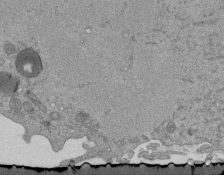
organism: Mouse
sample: ED-1 cell nuclei; centrioles